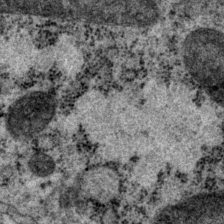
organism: P. pacificus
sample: Pharynx